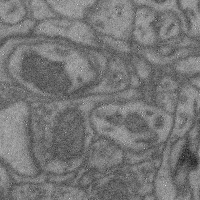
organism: Mouse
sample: Cerebral cortex